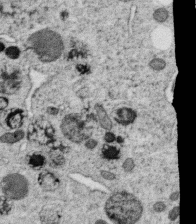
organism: C. elegans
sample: C. elegans oocyte; sperm cells